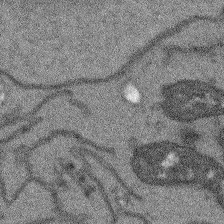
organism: Arabidopsis thaliana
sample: Root tip